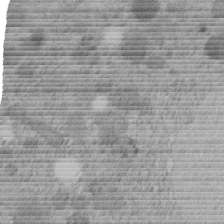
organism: C. elegans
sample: C. elegans embryo early stage